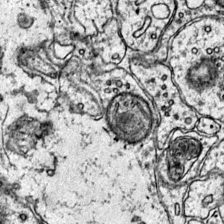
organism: Mouse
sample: Primary visual cortex